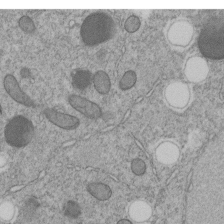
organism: C. elegans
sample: C. elegans embryo early stage